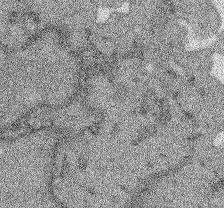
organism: Human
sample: HeLa cells